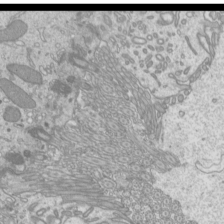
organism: Mouse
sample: Cilia; mouse epididymis